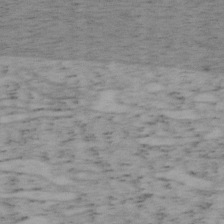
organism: Mouse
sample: OT-I killer T cells with ID8 ovarian cancer cells